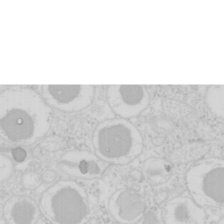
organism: Mouse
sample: Pancreas